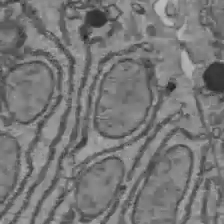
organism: C57BL Mouse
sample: Liver